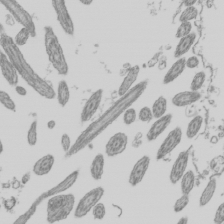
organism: Mouse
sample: Cilia; mouse epididymis